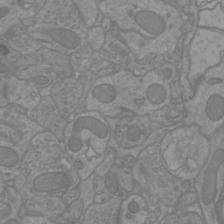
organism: Mouse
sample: Cortical neurons